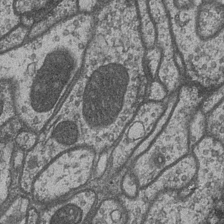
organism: Drosophila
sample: Optic medulla